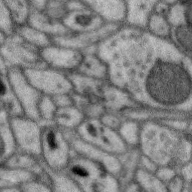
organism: Zebra finch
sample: Brain